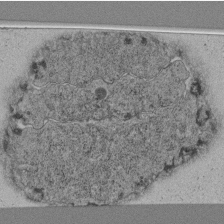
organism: C. elegans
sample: C. elegans pharynx